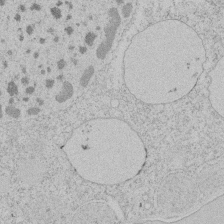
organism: Tetrahymena